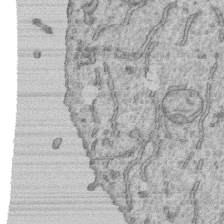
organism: Human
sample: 1205lu cells